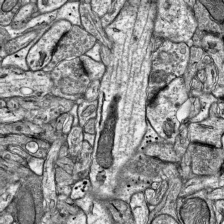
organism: Mouse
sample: Visual Cortex